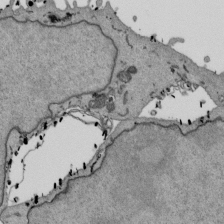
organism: Mouse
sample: ED-1 cell nuclei; centrioles